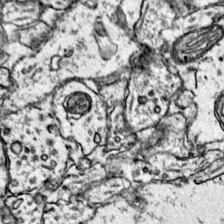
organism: Mouse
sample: Primary visual cortex